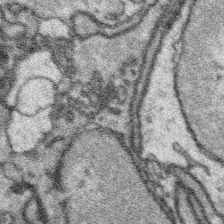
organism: Platynereis dumerilii